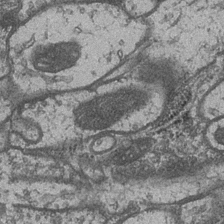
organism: Drosophila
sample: Optic medulla